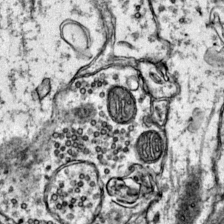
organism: Mouse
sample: Primary visual cortex